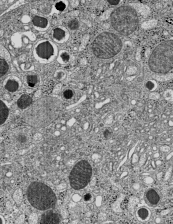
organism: C57BL Mouse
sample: Pancreatic islet